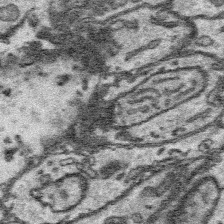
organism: Platynereis dumerilii